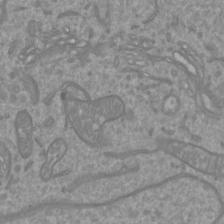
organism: Mouse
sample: Cortical neurons